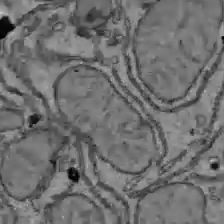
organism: C57BL Mouse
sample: Liver